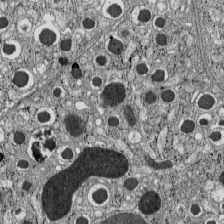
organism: C57BL Mouse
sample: Pancreatic islet